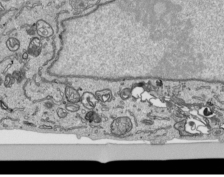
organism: Human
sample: Mitochondria in HCT116 cells